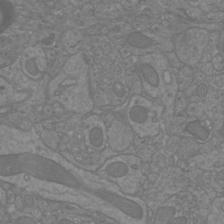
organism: Mouse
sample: Cortical neurons